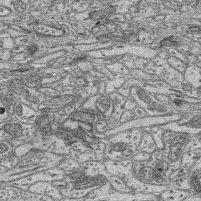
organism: Mouse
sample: Retina